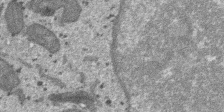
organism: Human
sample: Lung epithelial cells infected with SARS-CoV-2